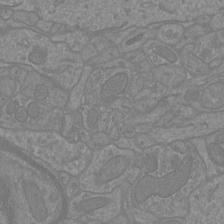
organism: Mouse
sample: Cortical neurons